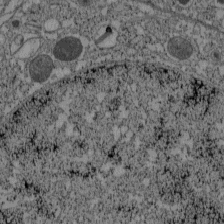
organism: C57BL Mouse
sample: Pancreatic islet